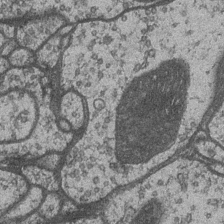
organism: Drosophila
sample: Optic medulla